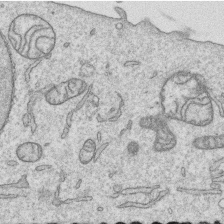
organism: Human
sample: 1205lu cells